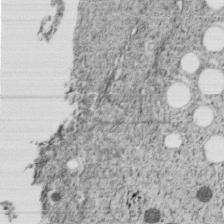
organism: C. elegans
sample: C. elegans embryo early stage